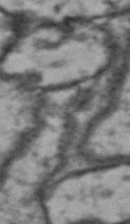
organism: Drosophila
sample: Brain